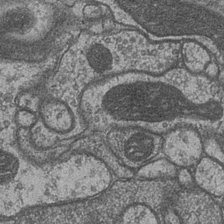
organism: Drosophila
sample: Optic medulla